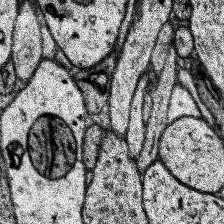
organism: Human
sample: Temporal Lobe